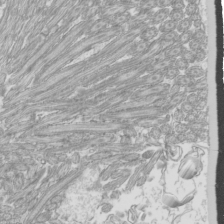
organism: Mouse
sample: Cilia; mouse epididymis